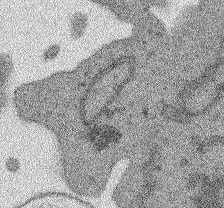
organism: Human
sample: HeLa cells